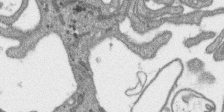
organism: Human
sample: Lung epithelial cells infected with SARS-CoV-2